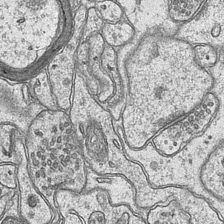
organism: Mouse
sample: CA1 Hippocampus